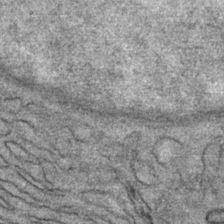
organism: Mouse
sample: Mouse Salivary gland